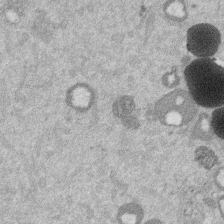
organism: Mouse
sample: Dividing mouse embryo 1 cell stage